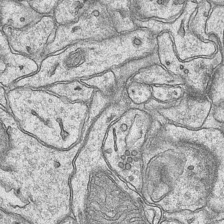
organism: Mouse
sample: CA1 Hippocampus